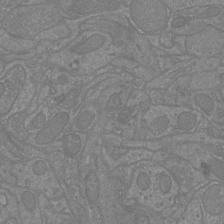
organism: Mouse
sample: Cortical neurons